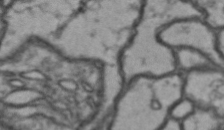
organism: Drosophila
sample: Brain